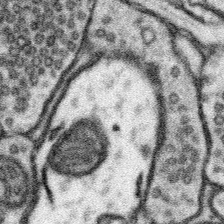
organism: Mouse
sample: Somatosensory cortex neuropil